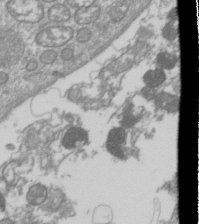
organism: Drosophila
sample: Cell division; meiosis; drosophila spermatocytes